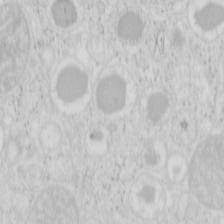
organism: Mouse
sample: Pancreas